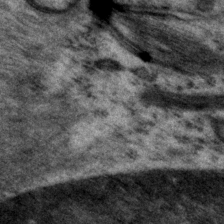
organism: P. pacificus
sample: Pharynx